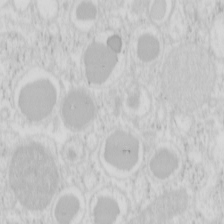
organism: Mouse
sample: Pancreas